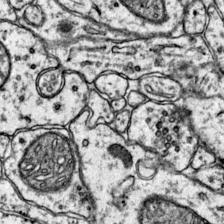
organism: Mouse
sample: Primary visual cortex